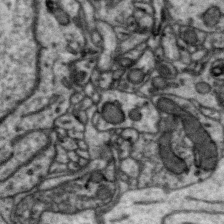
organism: Zebra finch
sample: Brain